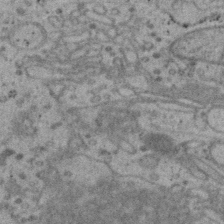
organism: Human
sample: HeLa cells